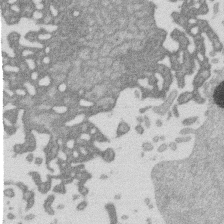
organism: Mouse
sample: Dividing mouse embryo 1 cell stage